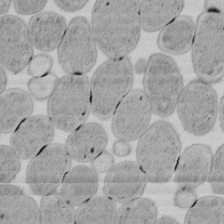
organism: E. coli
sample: Bacterial nucleoid